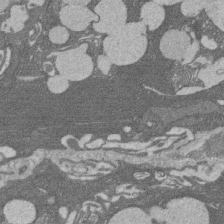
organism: Rat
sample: Salivary granule